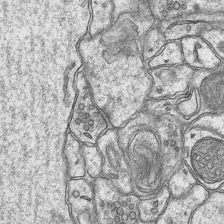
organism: Mouse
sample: CA1 Hippocampus